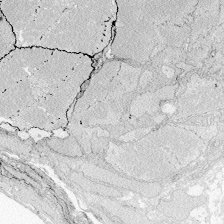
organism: Zebrafish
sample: Whole-Brain